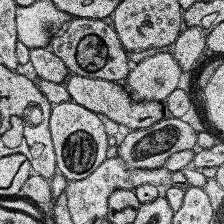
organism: Human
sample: Temporal Lobe